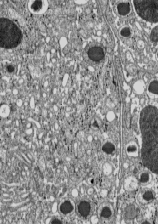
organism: C57BL Mouse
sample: Pancreatic islet